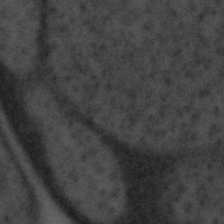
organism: Tuwongella immobilis